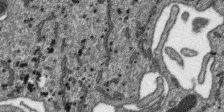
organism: Human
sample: Lung epithelial cells infected with SARS-CoV-2